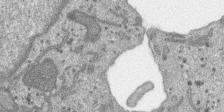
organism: Human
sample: Lung epithelial cells infected with SARS-CoV-2